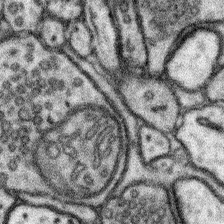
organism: Mouse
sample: Somatosensory cortex neuropil